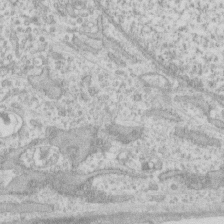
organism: Human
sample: Fibroblast cells